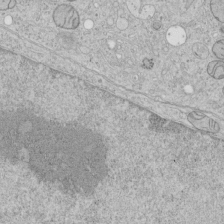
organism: Human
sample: Mitochondria in HCT116 cells